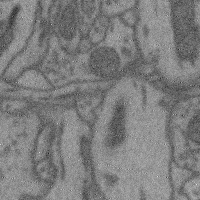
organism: Mouse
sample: Cerebral cortex